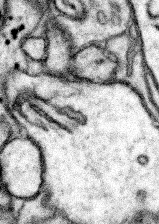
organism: Mouse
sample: Somatosensory cortex neuropil